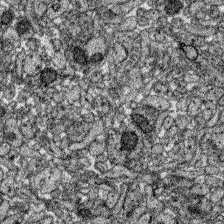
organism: Zebrafish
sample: Larval olfactory bulb